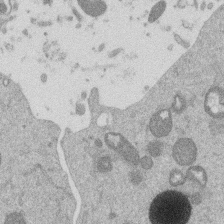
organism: Mouse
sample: Dividing mouse embryo 1 cell stage